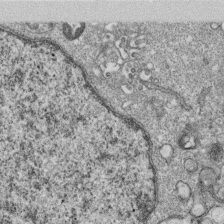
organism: African green monkey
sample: Vero E6 cells infected with SARS-CoV-2